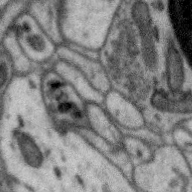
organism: Zebra finch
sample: Brain